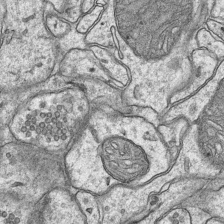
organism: Mouse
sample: CA1 Hippocampus